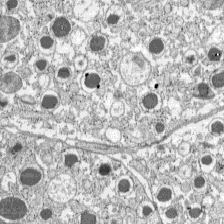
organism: C57BL Mouse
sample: Pancreatic islet